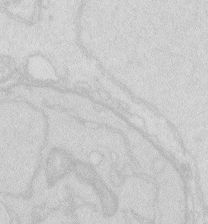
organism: Zebrafish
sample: Macrophage